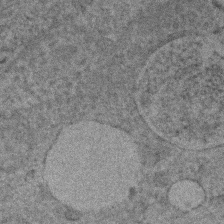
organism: Human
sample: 1205lu cells